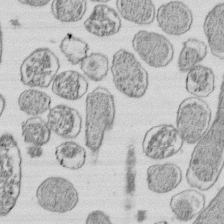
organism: E. coli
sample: Bacterial nucleoid